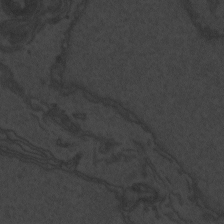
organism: Zebrafish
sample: Macrophage infected with Toxoplasma gondii